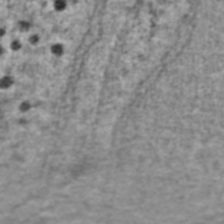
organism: Human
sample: Blood